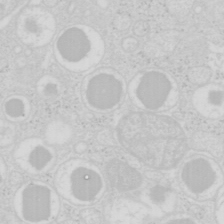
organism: Mouse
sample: Pancreas